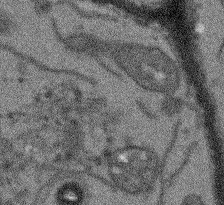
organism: Arabidopsis thaliana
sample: Root tip